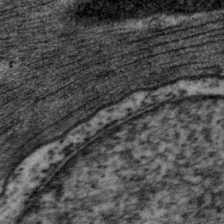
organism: P. pacificus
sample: Pharynx